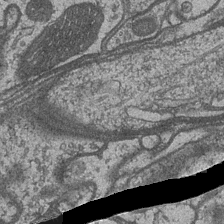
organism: Drosophila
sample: Optic medulla